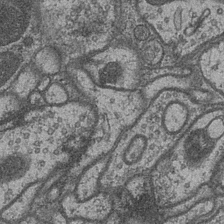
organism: Drosophila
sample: Optic medulla